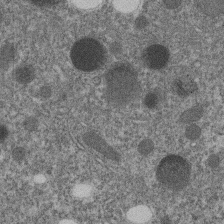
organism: C. elegans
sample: C. elegans embryo early stage